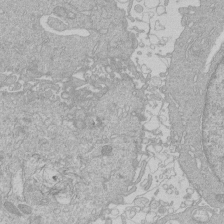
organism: Human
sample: Macrophage cells